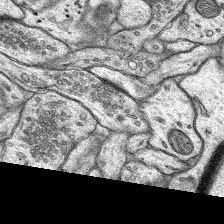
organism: Rat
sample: Hippocampus